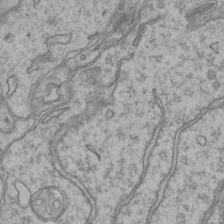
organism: Mouse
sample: CA1 Hippocampus